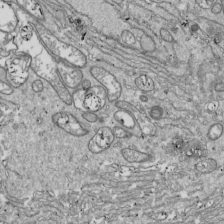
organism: Drosophila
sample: Cell division; meiosis; drosophila spermatocytes